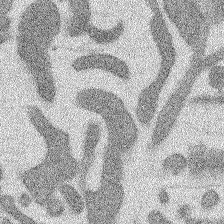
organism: Human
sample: HeLa cells